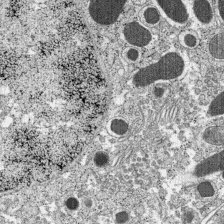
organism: C57BL Mouse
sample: Pancreatic islet